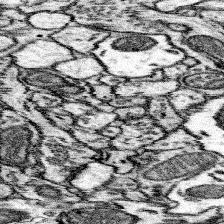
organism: Mouse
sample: Somatosensory cortex neuropil